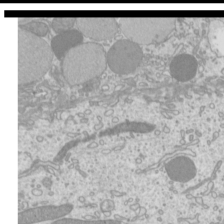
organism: Mouse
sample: Cilia; mouse epididymis